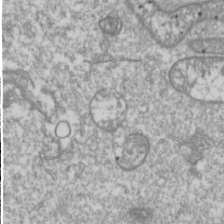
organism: Drosophila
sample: Cell division; meiosis; drosophila spermatocytes